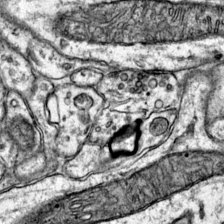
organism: Mouse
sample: Primary visual cortex